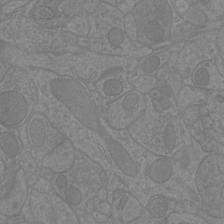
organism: Mouse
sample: Cortical neurons